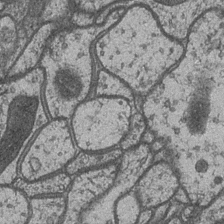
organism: Drosophila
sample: Optic medulla